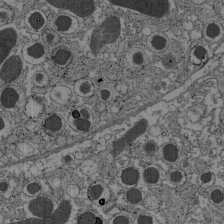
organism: C57BL Mouse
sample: Pancreatic islet